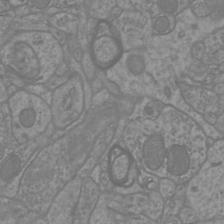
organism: Mouse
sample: Cortical neurons